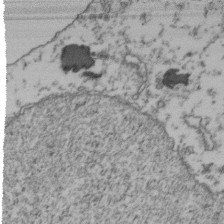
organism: Human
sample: Activated Jurkat CD4+ T cells